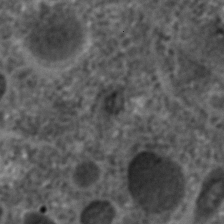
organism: C. elegans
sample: C. elegans embryo